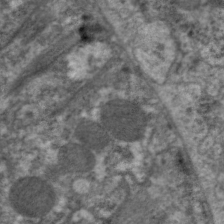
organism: C. elegans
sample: Pharynx